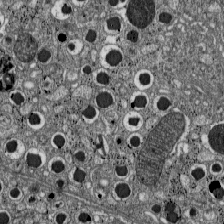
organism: C57BL Mouse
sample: Pancreatic islet